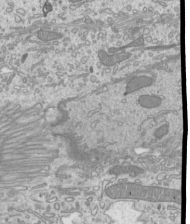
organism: Mouse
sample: Cilia; mouse epididymis